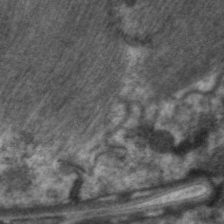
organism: C. elegans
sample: Pharynx